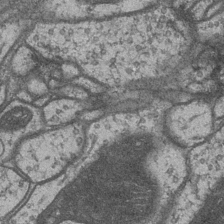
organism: Drosophila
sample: Optic medulla